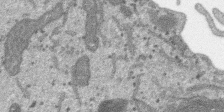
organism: Human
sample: Lung epithelial cells infected with SARS-CoV-2